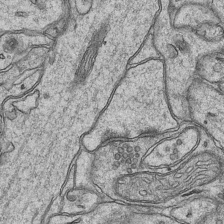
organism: Mouse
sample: CA1 Hippocampus